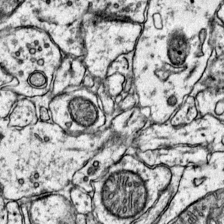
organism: Mouse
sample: Primary visual cortex